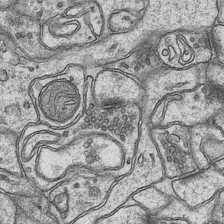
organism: Mouse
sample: CA1 Hippocampus